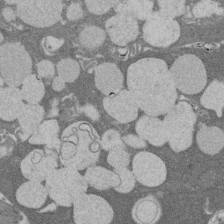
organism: Rat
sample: Salivary granule